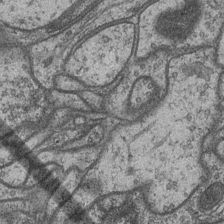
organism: Drosophila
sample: Optic medulla